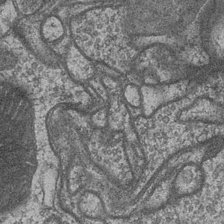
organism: Drosophila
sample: Optic medulla